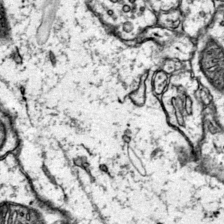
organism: Mouse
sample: Primary visual cortex